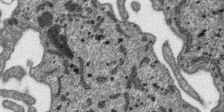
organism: Human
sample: Lung epithelial cells infected with SARS-CoV-2